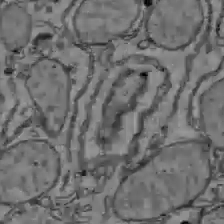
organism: C57BL Mouse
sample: Liver